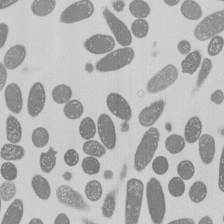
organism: E. coli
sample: Bacterial nucleoid